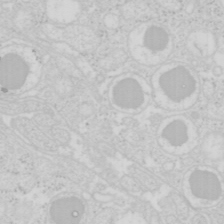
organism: Mouse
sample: Pancreas